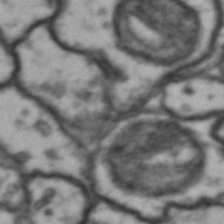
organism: Drosophila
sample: Brain